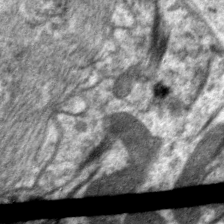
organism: C. elegans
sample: Pharynx